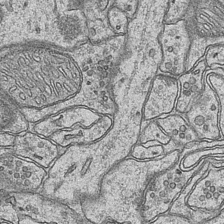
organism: Mouse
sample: CA1 Hippocampus